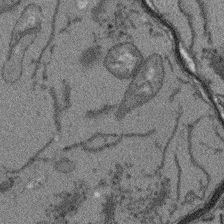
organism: Arabidopsis thaliana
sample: Root tip